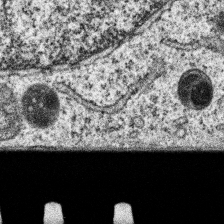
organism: Human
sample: HeLa cells